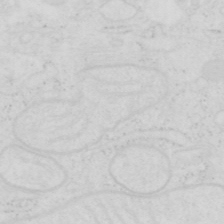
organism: Human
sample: SUM-159 cell